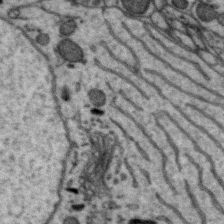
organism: Zebra finch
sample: Brain